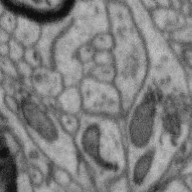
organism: Zebra finch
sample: Brain